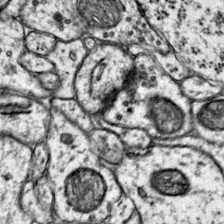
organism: Mouse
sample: Primary visual cortex